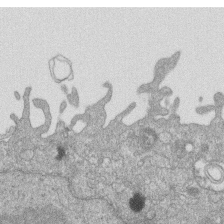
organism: Human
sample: HeLa cell HIV synapse